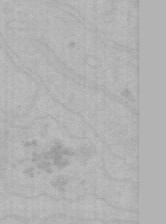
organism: Mouse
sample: Choroid plexus